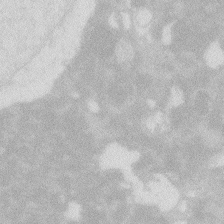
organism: Zebrafish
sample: Macrophage